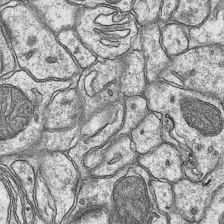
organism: Mouse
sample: CA1 Hippocampus